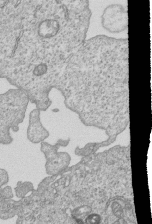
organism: Human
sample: MDA-MB-231 cells